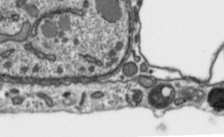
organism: Toxoplasma gondii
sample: Parasites in a vacuole inside a host cell